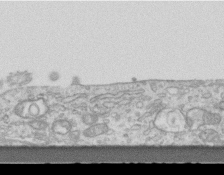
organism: Mouse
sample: Centriole in ependymal cells